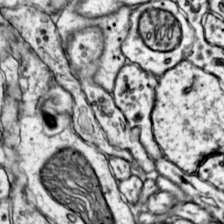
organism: Mouse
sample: Primary visual cortex